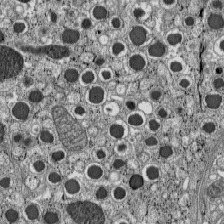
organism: C57BL Mouse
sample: Pancreatic islet